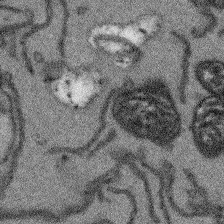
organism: Arabidopsis thaliana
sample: Root tip